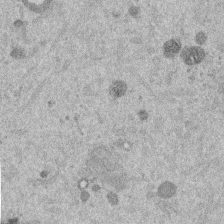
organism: Mouse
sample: Dividing mouse embryo 1 cell stage